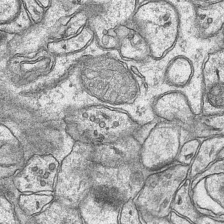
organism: Mouse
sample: CA1 Hippocampus